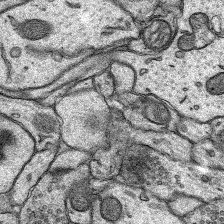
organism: Rat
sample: Hippocampus